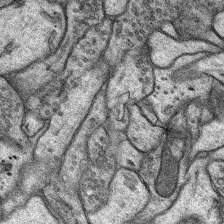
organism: Rat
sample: Hippocampus